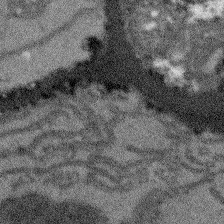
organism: Arabidopsis thaliana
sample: Root tip